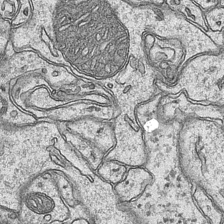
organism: Mouse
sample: CA1 Hippocampus